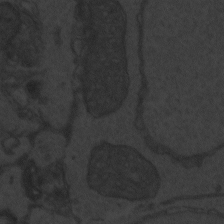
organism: Zebrafish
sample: Macrophage infected with Toxoplasma gondii